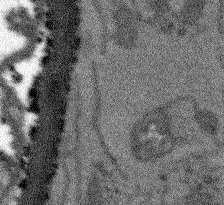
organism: Arabidopsis thaliana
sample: Root tip